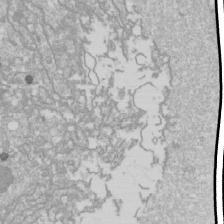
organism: Drosophila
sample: Cell division; meiosis; drosophila spermatocytes